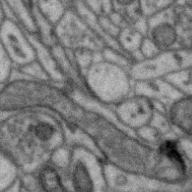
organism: Zebra finch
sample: Brain